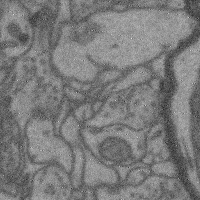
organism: Mouse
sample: Cerebral cortex